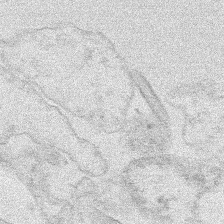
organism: Human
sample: Mitochondria in HCT116 cells